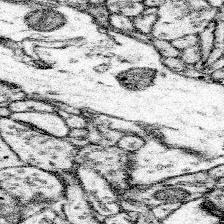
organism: Mouse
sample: Somatosensory cortex neuropil